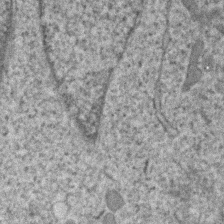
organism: Human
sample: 1205lu cells